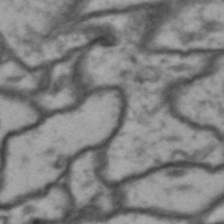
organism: Drosophila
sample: Brain